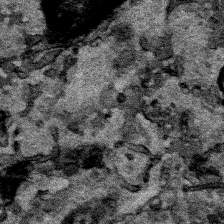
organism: Human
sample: Mitochondria in HCT116 cells